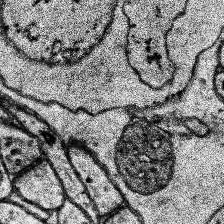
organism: Human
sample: Temporal Lobe